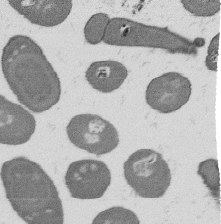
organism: B. subtilis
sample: Bacterial spore